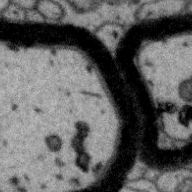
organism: Zebra finch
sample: Brain